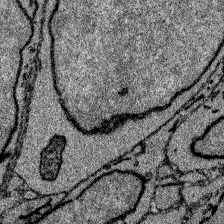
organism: Zebrafish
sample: Larval olfactory bulb